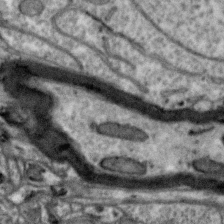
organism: Zebra finch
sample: Brain